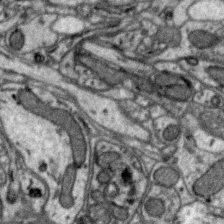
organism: Zebra finch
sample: Brain